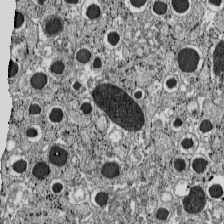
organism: C57BL Mouse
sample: Pancreatic islet